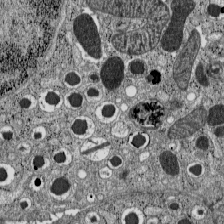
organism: C57BL Mouse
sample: Pancreatic islet